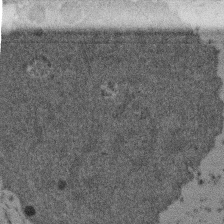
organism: Mouse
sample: Dividing mouse embryo 1 cell stage